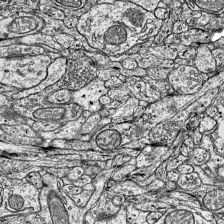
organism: Mouse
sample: Visual Cortex